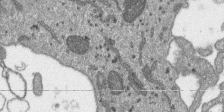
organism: Human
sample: Lung epithelial cells infected with SARS-CoV-2